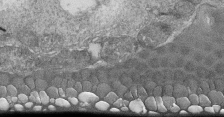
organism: Tetrahymena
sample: Cilia in tetrahymena